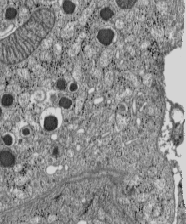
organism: C57BL Mouse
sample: Pancreatic islet